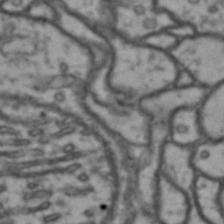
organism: Drosophila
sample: Brain